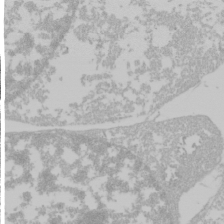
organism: Mouse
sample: Cancer cell death in ED-1 cells